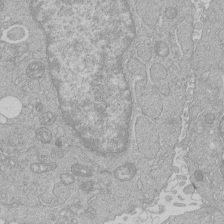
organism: Human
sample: Macrophage cells